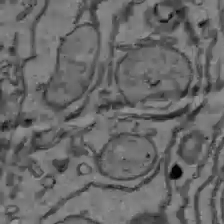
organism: C57BL Mouse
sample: Liver